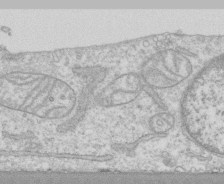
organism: Human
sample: CRL-1474